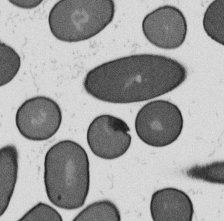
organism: B. subtilis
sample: Bacterial spore